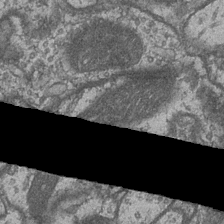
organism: Drosophila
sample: Optic medulla